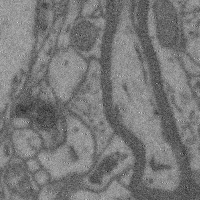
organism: Mouse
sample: Cerebral cortex